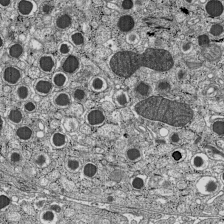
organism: C57BL Mouse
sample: Pancreatic islet